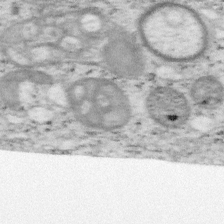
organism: Mouse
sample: OT-I killer T cells with ID8 ovarian cancer cells